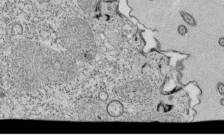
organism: Tetrahymena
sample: Cilia in tetrahymena